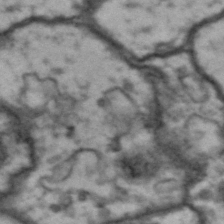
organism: Drosophila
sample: Brain